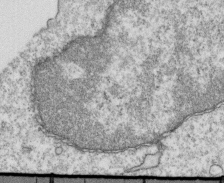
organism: Mouse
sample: Activated OT-1 CD8+ T cells